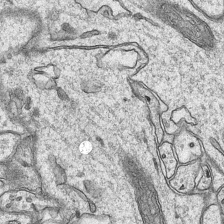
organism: Mouse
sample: CA1 Hippocampus